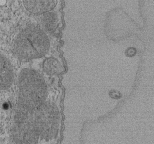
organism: Tetrahymena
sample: Cilia in tetrahymena